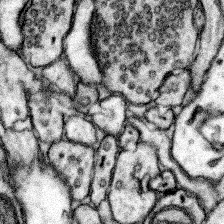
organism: Mouse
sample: Somatosensory cortex neuropil